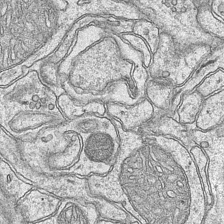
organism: Mouse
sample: CA1 Hippocampus